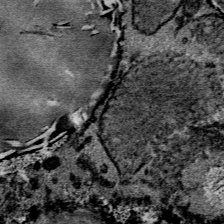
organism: Mouse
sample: Mouse Salivary gland